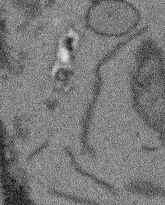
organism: Arabidopsis thaliana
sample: Root tip